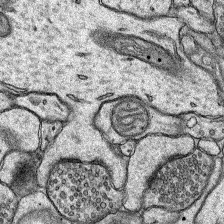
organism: Rat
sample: Hippocampus